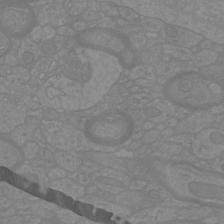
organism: Mouse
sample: Cortical neurons